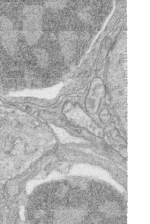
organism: Zebrafish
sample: synaptic ribbons in rod cells and cone cells